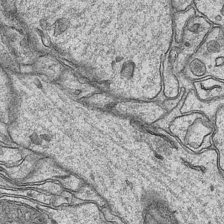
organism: Mouse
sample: CA1 Hippocampus